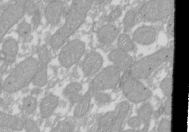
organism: Xenopus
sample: Cilia; centrioles in frog embryo cells